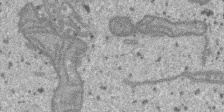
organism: Human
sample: Lung epithelial cells infected with SARS-CoV-2